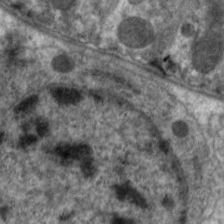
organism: C. elegans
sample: Pharynx